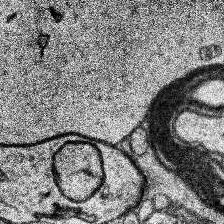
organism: Human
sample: Temporal Lobe